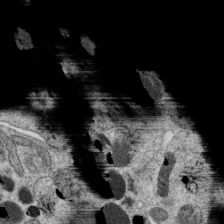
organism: C. elegans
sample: C. elegans oocyte; sperm cells